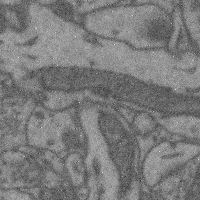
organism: Mouse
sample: Cerebral cortex